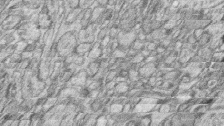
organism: Zebrafish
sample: synaptic ribbons in rod cells and cone cells